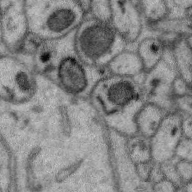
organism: Zebra finch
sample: Brain